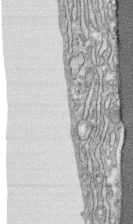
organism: Human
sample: CRL-1474